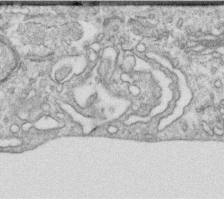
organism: Human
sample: Centriole in RPE cells